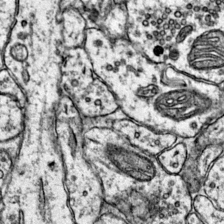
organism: Mouse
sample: Primary visual cortex